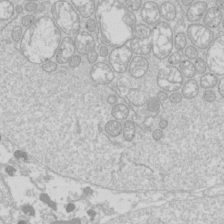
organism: Drosophila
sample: Cell division; meiosis; drosophila spermatocytes